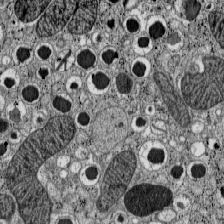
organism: C57BL Mouse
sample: Pancreatic islet